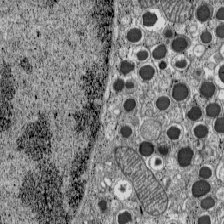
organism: C57BL Mouse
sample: Pancreatic islet